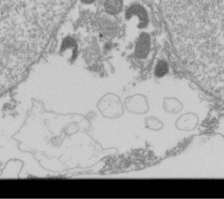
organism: Drosophila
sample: Cell division; meiosis; drosophila spermatocytes